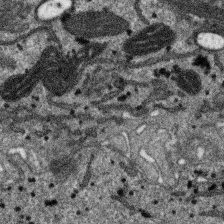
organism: Human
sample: Lung epithelial cells infected with SARS-CoV-2